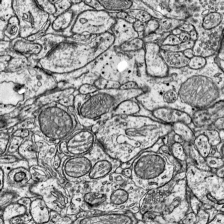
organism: Mouse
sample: Visual Cortex